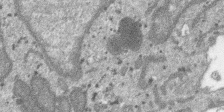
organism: Human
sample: Lung epithelial cells infected with SARS-CoV-2